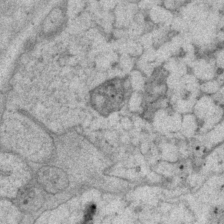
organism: P. pacificus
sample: Pharynx